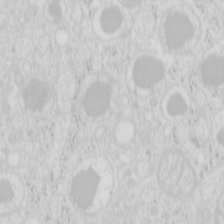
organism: Mouse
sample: Pancreas